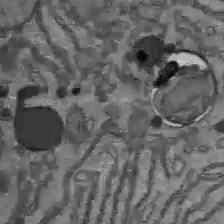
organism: C57BL Mouse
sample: Liver